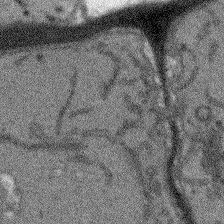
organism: Arabidopsis thaliana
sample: Root tip